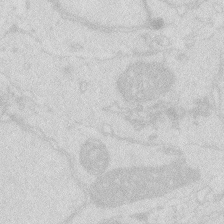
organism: Zebrafish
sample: Macrophage